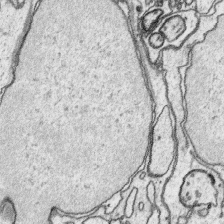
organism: Platynereis dumerilii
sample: Parapodia